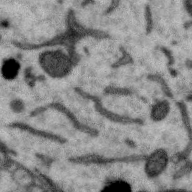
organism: Zebra finch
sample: Brain